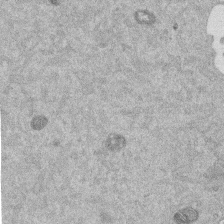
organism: Mouse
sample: Dividing mouse embryo 1 cell stage